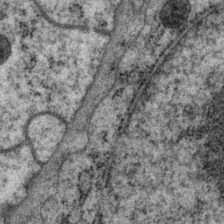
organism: P. pacificus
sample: Pharynx